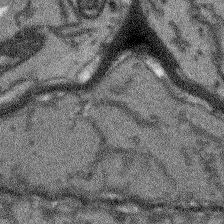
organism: Arabidopsis thaliana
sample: Root tip